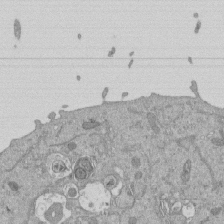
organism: Mouse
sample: ED-1 cell nuclei; centrioles